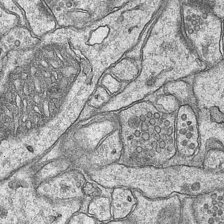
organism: Mouse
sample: CA1 Hippocampus